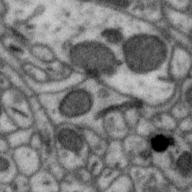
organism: Zebra finch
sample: Brain